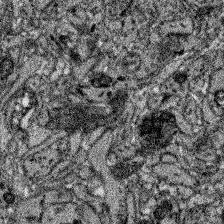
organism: Zebrafish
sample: Larval olfactory bulb